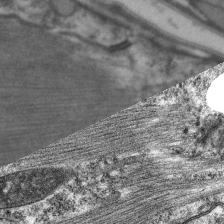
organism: C. elegans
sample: Pharynx